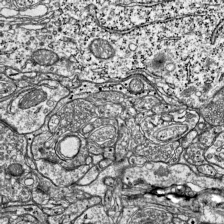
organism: Mouse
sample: Visual Cortex